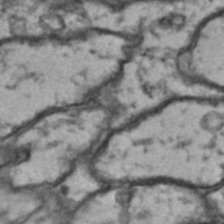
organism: Drosophila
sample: Brain